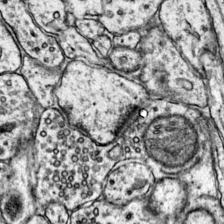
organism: Mouse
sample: Primary visual cortex